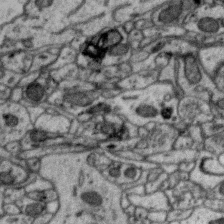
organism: Zebra finch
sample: Brain